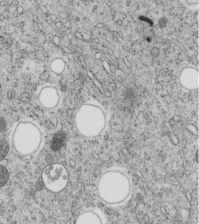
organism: C. elegans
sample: C. elegans embryo early stage